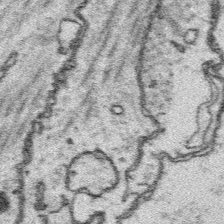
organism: Platynereis dumerilii